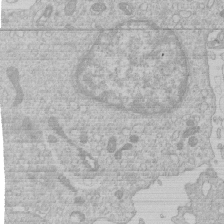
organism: Human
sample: Macrophage cells